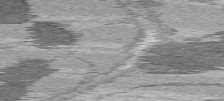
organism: C57BL Mouse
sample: Heart